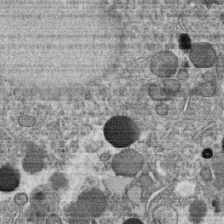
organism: C. elegans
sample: C. elegans oocyte; sperm cells